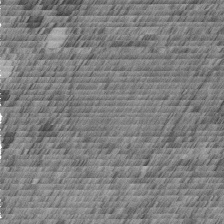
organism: C. elegans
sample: C. elegans embryo early stage